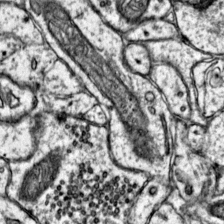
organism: Mouse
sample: Primary visual cortex